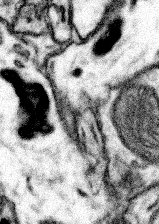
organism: Mouse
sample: Somatosensory cortex neuropil